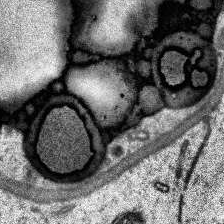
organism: Human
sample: Temporal Lobe